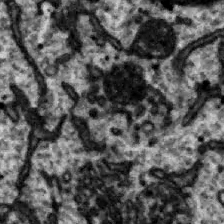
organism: Human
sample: HeLa cells